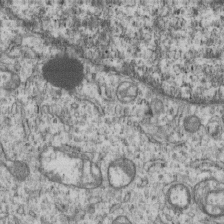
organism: Human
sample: MDA-MB-231 cells